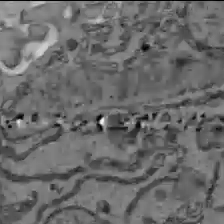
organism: C57BL Mouse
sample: Liver